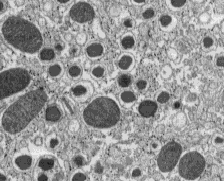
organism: C57BL Mouse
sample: Pancreatic islet